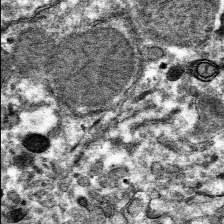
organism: Mouse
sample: Mouse hepatocytes